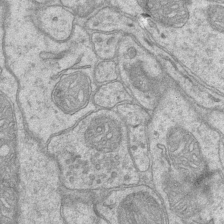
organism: Mouse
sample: CA1 Hippocampus